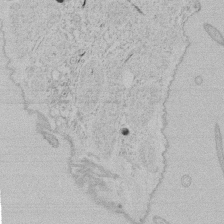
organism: Tetrahymena